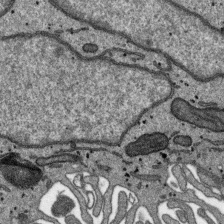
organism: Human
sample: Lung epithelial cells, uninfected (mock) control